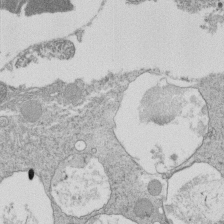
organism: Tetrahymena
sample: Cilia in tetrahymena